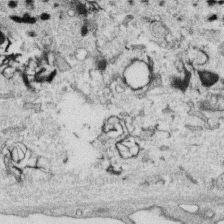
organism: Human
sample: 1205lu cells